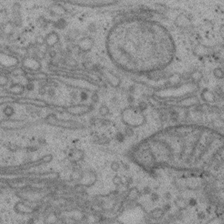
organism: Human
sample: HeLa cells